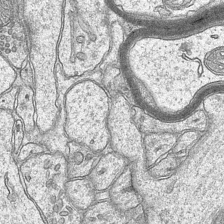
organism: Mouse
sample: CA1 Hippocampus